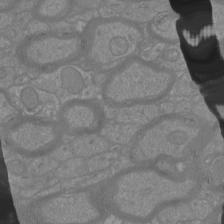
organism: Mouse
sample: Cortical neurons